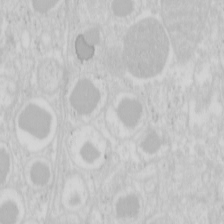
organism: Mouse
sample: Pancreas